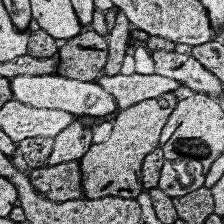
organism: Human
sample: Temporal Lobe